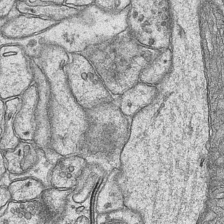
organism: Mouse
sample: CA1 Hippocampus